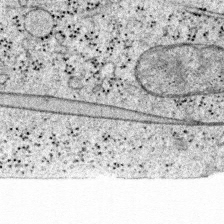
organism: Human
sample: HeLa cells